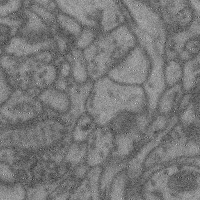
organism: Mouse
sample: Cerebral cortex